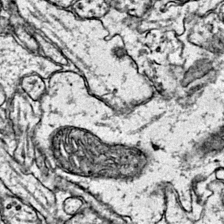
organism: Mouse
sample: Primary visual cortex